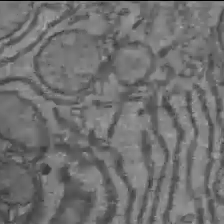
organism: C57BL Mouse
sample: Liver